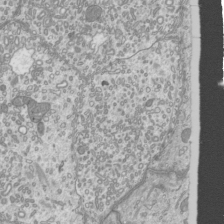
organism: Mouse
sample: Cilia; mouse epididymis